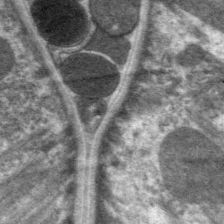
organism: C. elegans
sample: Pharynx